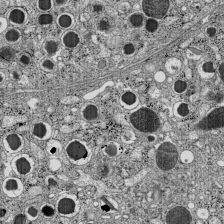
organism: C57BL Mouse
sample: Pancreatic islet